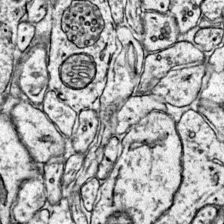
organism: Mouse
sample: Primary visual cortex